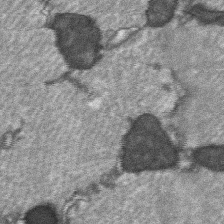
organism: C57BL Mouse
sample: Soleus